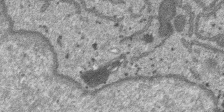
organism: Human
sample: Lung epithelial cells infected with SARS-CoV-2